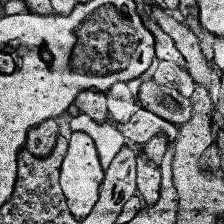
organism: Human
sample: Temporal Lobe